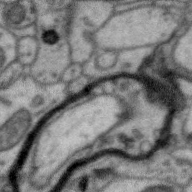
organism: Zebra finch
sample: Brain